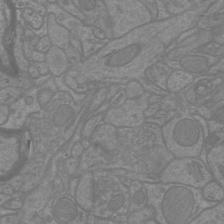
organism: Mouse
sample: Cortical neurons